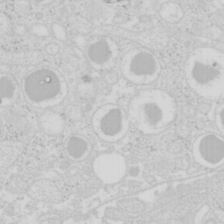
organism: Mouse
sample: Pancreas